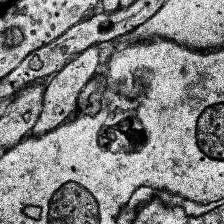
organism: Human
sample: Temporal Lobe